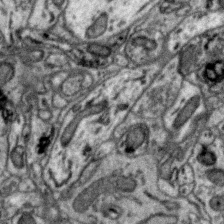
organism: Zebra finch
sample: Brain